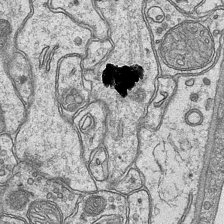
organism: Mouse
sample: CA1 Hippocampus